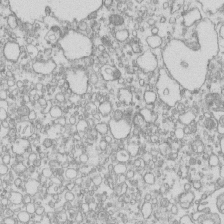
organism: Mouse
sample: Macrophages